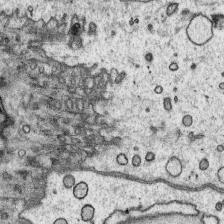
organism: Platynereis dumerilii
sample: Parapodia